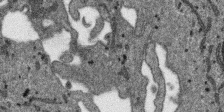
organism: Human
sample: Lung epithelial cells infected with SARS-CoV-2